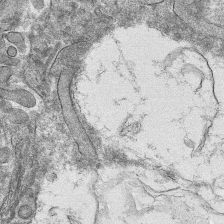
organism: Mouse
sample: Mouse hepatocytes